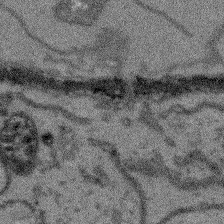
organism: Arabidopsis thaliana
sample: Root tip